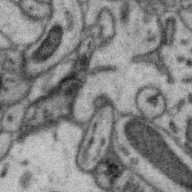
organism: Zebra finch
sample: Brain